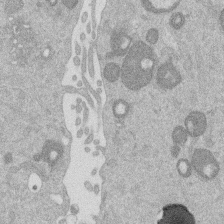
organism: Mouse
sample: Dividing mouse embryo 1 cell stage